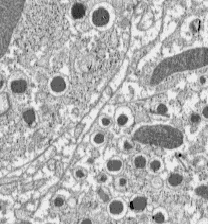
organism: C57BL Mouse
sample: Pancreatic islet